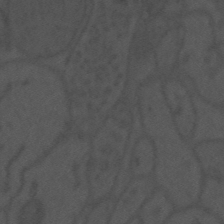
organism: Mouse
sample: Suprachiasmatic nucleus